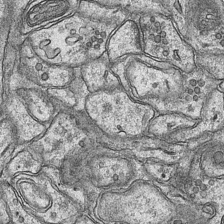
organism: Mouse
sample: CA1 Hippocampus